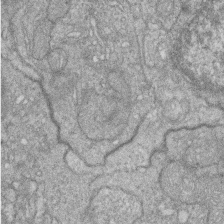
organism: Zebrafish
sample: Cilia; retinal pigment epithelium